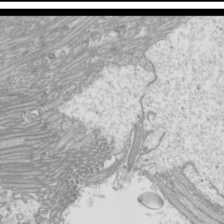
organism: Mouse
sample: Cilia; mouse epididymis